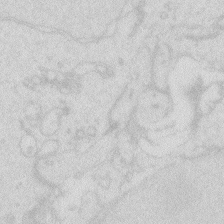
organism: Zebrafish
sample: Macrophage